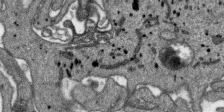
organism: Human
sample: Lung epithelial cells, uninfected (mock) control